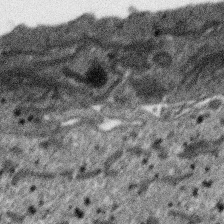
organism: Human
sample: Lung epithelial cells infected with SARS-CoV-2